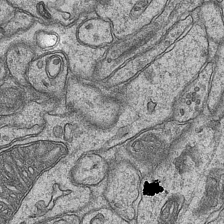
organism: Mouse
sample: CA1 Hippocampus